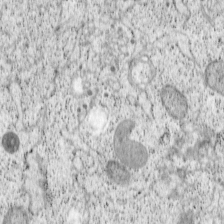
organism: African green monkey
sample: COS-7 cells